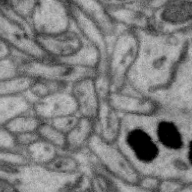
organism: Zebra finch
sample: Brain